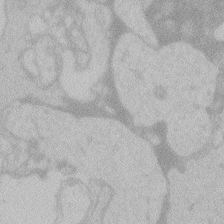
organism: Zebrafish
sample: Macrophage infected with Toxoplasma gondii